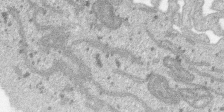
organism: Human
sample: Lung epithelial cells infected with SARS-CoV-2